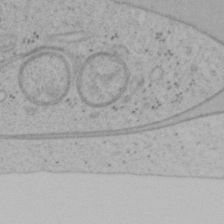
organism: Human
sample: HeLa cells